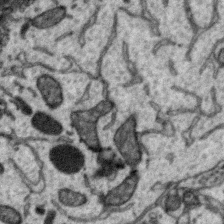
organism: Zebra finch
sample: Brain